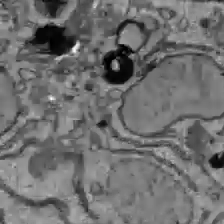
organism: C57BL Mouse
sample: Liver